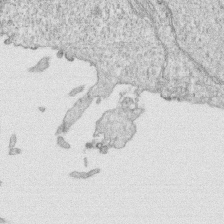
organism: Human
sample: HeLa cell HIV synapse